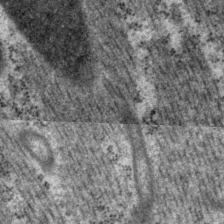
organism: P. pacificus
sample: Pharynx